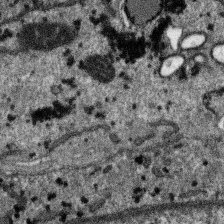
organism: Human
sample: Lung epithelial cells infected with SARS-CoV-2